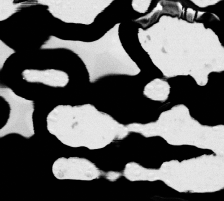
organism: C. elegans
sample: AFD neurons C. elegans